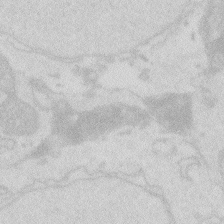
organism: Zebrafish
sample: Macrophage